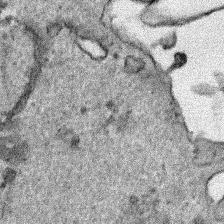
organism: Human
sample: Mitochondria in HCT116 cells